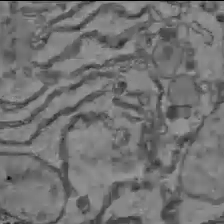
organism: C57BL Mouse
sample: Liver